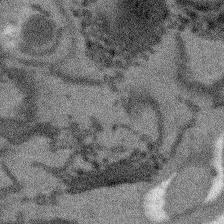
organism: Arabidopsis thaliana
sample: Root tip